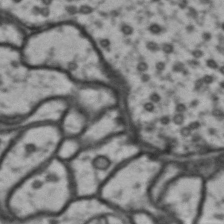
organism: Drosophila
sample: Brain